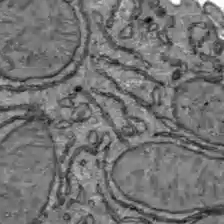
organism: C57BL Mouse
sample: Liver